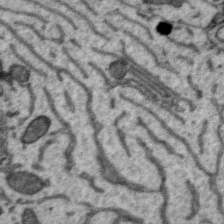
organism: Zebra finch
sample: Brain